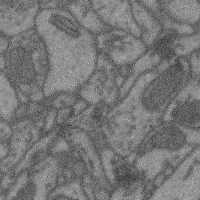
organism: Mouse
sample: Cerebral cortex